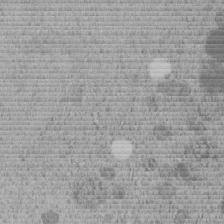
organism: C. elegans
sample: C. elegans embryo early stage